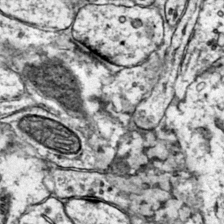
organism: Mouse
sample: Primary visual cortex